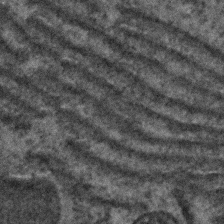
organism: C. elegans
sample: C. elegans embryo